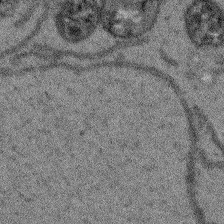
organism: Arabidopsis thaliana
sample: Root tip